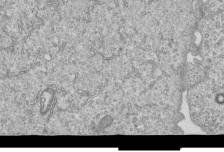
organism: Human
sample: MDA-MB-231 cells